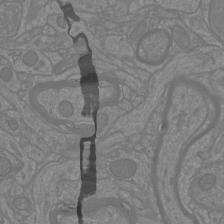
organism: Mouse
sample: Cortical neurons